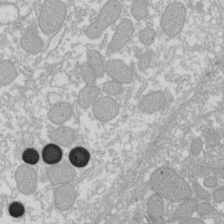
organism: Xenopus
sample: Cilia; centrioles in frog embryo cells